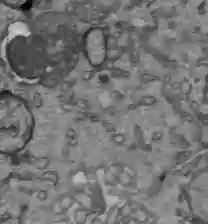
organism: C57BL Mouse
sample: Liver